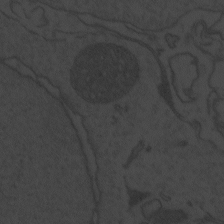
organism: Zebrafish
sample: Macrophage infected with Toxoplasma gondii